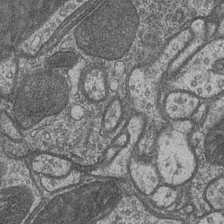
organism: Drosophila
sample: Optic medulla